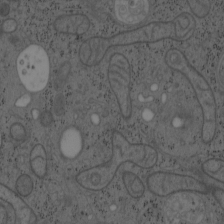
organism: Mouse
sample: OT-I killer T cells with ID8 ovarian cancer cells